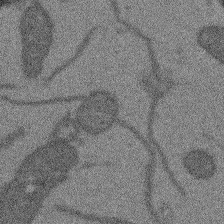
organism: Arabidopsis thaliana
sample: Root tip